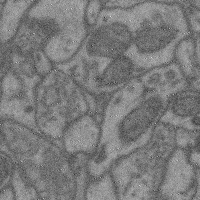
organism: Mouse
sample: Cerebral cortex